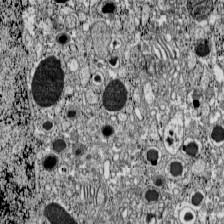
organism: C57BL Mouse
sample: Pancreatic islet